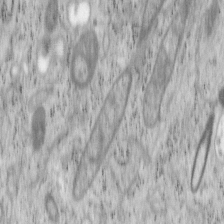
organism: Human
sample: HeLa cells